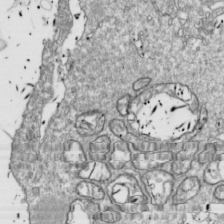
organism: Drosophila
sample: Cell division; meiosis; drosophila spermatocytes